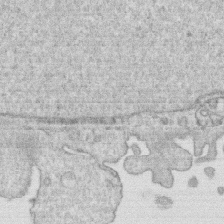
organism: Human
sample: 1205lu cells